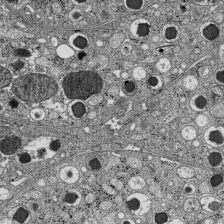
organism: C57BL Mouse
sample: Pancreatic islet